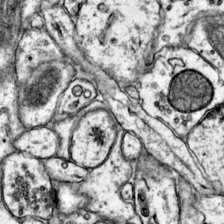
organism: Mouse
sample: Primary visual cortex